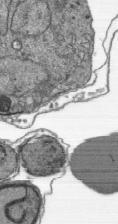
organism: Plasmodium falciparum